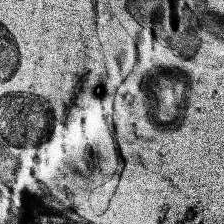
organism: Human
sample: Temporal Lobe